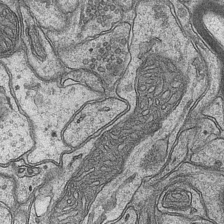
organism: Mouse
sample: CA1 Hippocampus